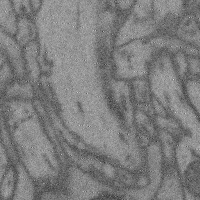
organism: Mouse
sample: Cerebral cortex